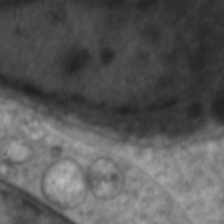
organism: C. elegans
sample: Pharynx